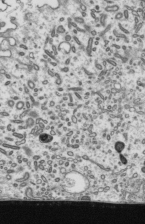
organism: Mouse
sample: Mouse epididymis efferent ductule cilia